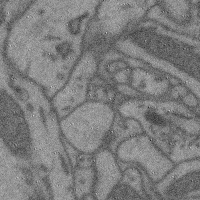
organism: Mouse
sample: Cerebral cortex